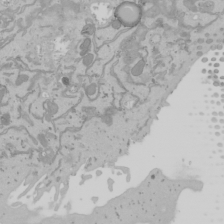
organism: Mouse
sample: Cancer cell death in ED-1 cells